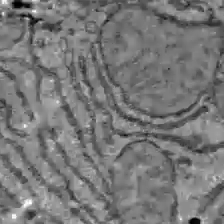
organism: C57BL Mouse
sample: Liver